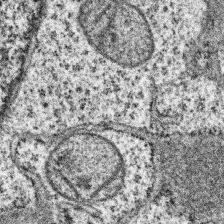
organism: Human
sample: HeLa cells